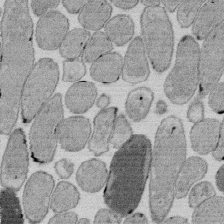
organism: E. coli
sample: Bacterial nucleoid